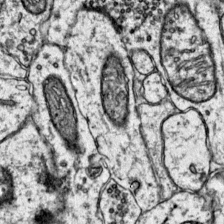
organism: Mouse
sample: Primary visual cortex